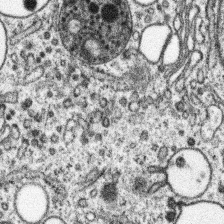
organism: Human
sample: HeLa cells